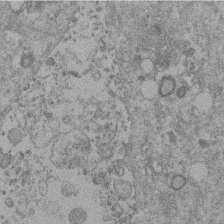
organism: Mouse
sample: Dividing mouse embryo 1 cell stage